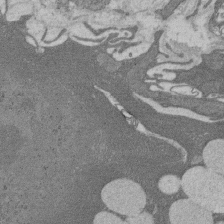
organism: Rat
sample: Salivary granule